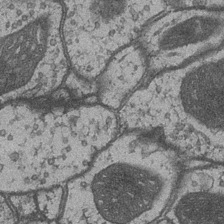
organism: Drosophila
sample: Optic medulla